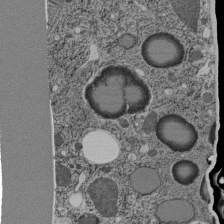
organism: C. elegans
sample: C. elegans pharynx